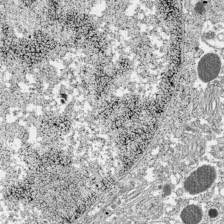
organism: C57BL Mouse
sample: Pancreatic islet